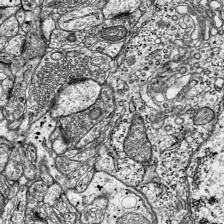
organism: Mouse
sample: Visual Cortex